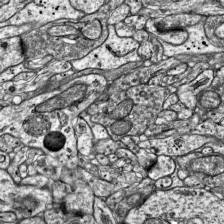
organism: Mouse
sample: Visual Cortex